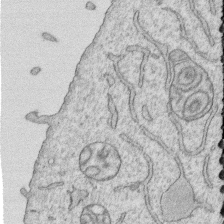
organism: Human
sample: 1205lu cells